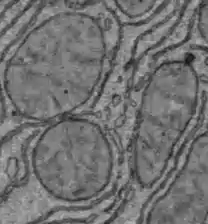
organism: C57BL Mouse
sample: Liver